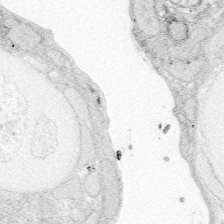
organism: Zebrafish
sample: Whole-Brain